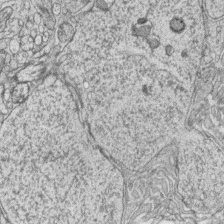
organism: Zebrafish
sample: synaptic ribbons in rod cells and cone cells